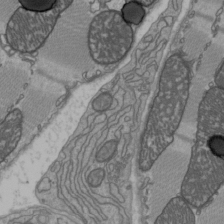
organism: C57BL Mouse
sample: Heart